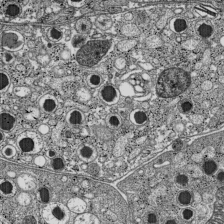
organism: C57BL Mouse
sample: Pancreatic islet